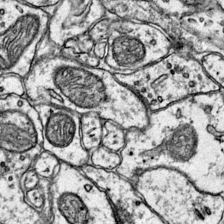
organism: Mouse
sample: Primary visual cortex